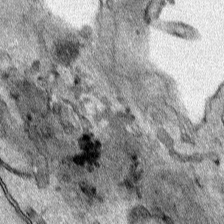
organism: Human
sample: Mitochondria in HCT116 cells